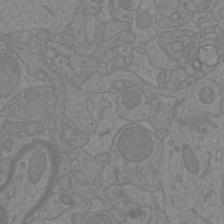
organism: Mouse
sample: Cortical neurons